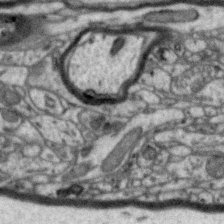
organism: Zebra finch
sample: Brain